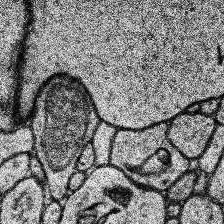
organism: Human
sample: Temporal Lobe